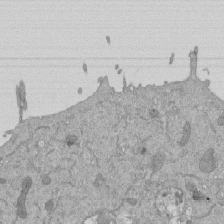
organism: Mouse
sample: ED-1 cell nuclei; centrioles